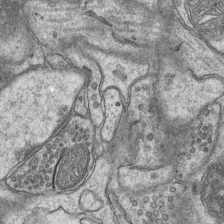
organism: Mouse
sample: CA1 Hippocampus